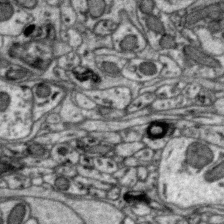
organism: Zebra finch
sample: Brain